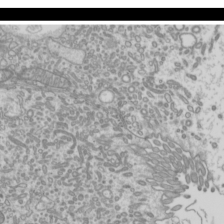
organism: Mouse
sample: Cilia; mouse epididymis